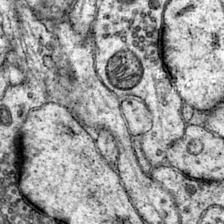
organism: Mouse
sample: Primary visual cortex